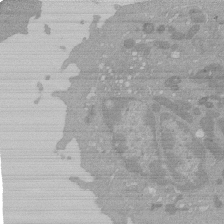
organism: Mouse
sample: Activated Pmel transgenic CD8+ T Cells